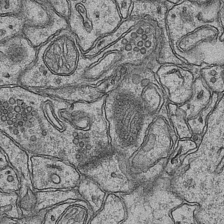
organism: Mouse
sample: CA1 Hippocampus